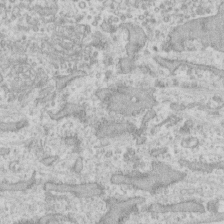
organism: Human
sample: Fibroblast cells